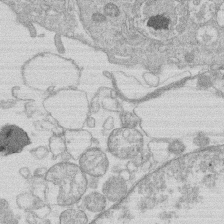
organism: Human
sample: Macrophage cells